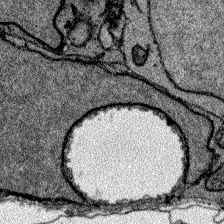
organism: Zebrafish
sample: Larval olfactory bulb